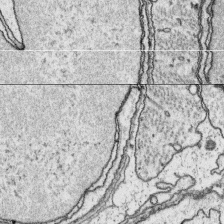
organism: Platynereis dumerilii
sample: Parapodia